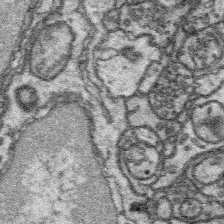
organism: Platynereis dumerilii